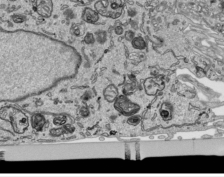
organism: Human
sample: Mitochondria in HCT116 cells